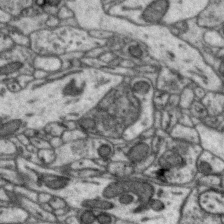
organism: Zebra finch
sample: Brain